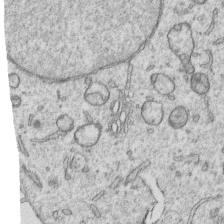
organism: Human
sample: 1205lu cells